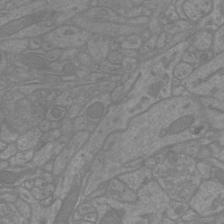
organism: Mouse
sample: Cortical neurons